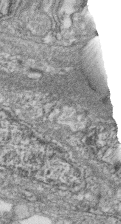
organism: Zebrafish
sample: Cilia; retinal pigment epithelium